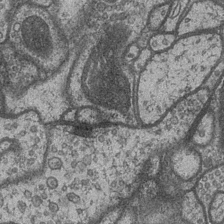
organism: Drosophila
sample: Optic medulla